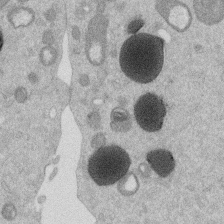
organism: Mouse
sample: Dividing mouse embryo 1 cell stage